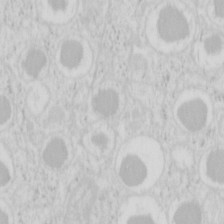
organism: Mouse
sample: Pancreas